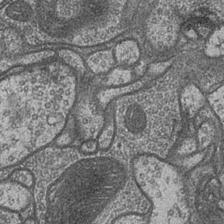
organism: Drosophila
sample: Optic medulla